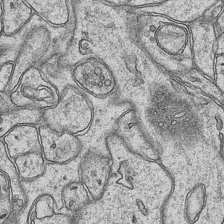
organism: Mouse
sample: CA1 Hippocampus